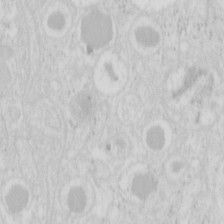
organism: Mouse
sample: Pancreas